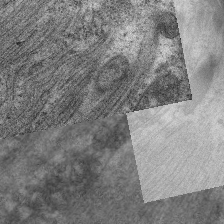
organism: C. elegans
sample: Pharynx